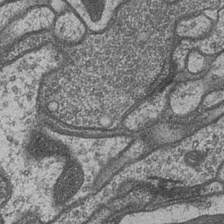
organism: Drosophila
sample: Optic medulla